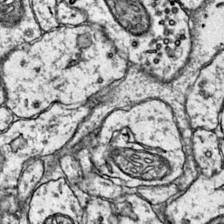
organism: Mouse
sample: Primary visual cortex